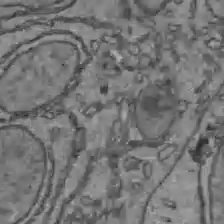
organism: C57BL Mouse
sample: Liver